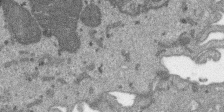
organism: Human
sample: Lung epithelial cells infected with SARS-CoV-2